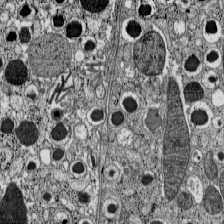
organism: C57BL Mouse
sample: Pancreatic islet